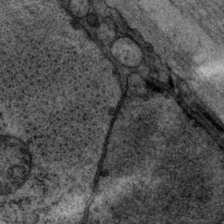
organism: P. pacificus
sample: Pharynx